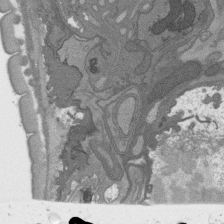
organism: C. elegans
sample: AFD neurons C. elegans